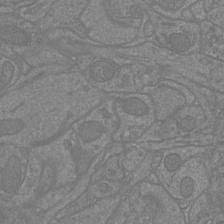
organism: Mouse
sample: Cortical neurons